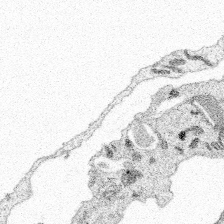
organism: Spongilla lacustris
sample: Multiple